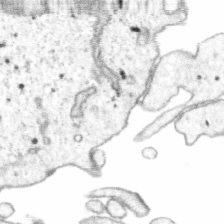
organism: Human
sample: HeLa cells